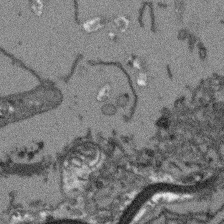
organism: Arabidopsis thaliana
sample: Root tip